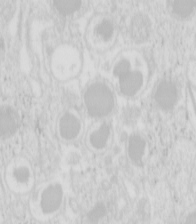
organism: Mouse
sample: Pancreas